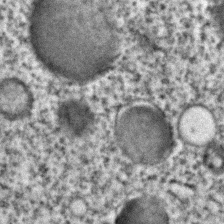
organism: C. elegans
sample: C. elegans embryo